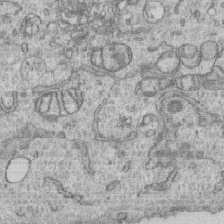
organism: Human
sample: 1205lu cells